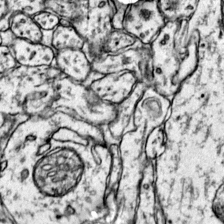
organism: Mouse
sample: Primary visual cortex